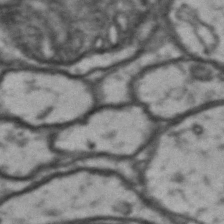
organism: Drosophila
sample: Brain